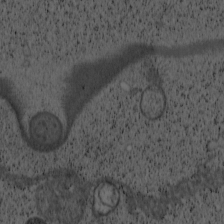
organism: African green monkey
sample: COS-7 cells